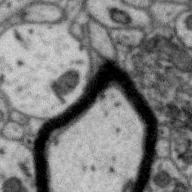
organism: Zebra finch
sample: Brain